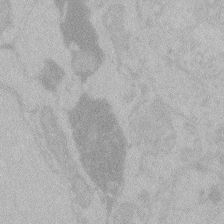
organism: Zebrafish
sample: Macrophage infected with Toxoplasma gondii